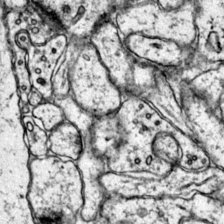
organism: Mouse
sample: Primary visual cortex